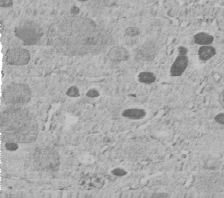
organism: C. elegans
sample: C. elegans embryo early stage